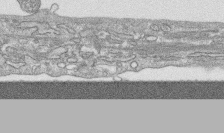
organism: Human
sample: CRL-1474